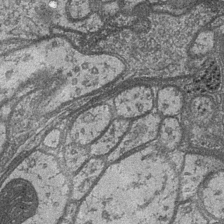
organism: Drosophila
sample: Optic medulla